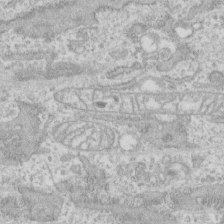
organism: Human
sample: CRL-1474